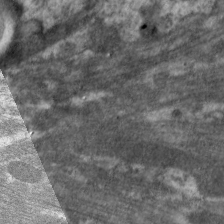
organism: C. elegans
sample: Pharynx